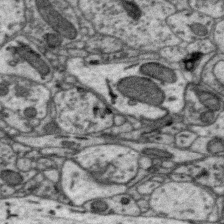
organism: Zebra finch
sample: Brain